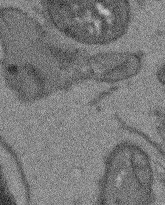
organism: Arabidopsis thaliana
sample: Root tip